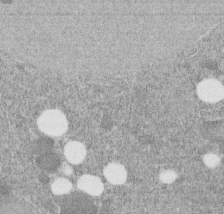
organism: C. elegans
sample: C. elegans embryo early stage